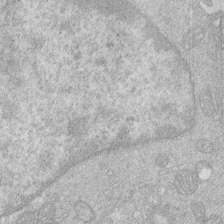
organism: Human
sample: Macrophage cells